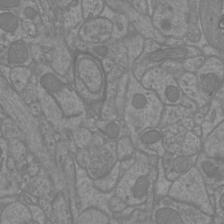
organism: Mouse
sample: Cortical neurons